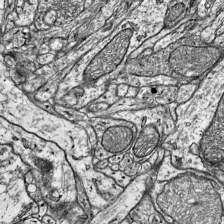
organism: Mouse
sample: Visual Cortex